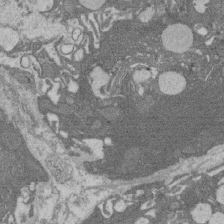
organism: Rat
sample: Salivary granule